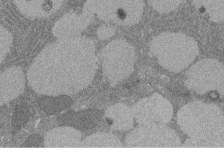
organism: Rat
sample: Salivary granule